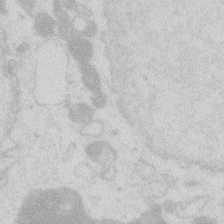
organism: Zebrafish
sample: Macrophage